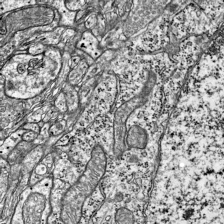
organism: Mouse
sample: Visual Cortex